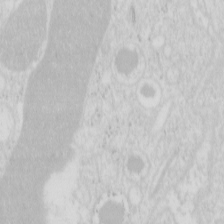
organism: Mouse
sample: Pancreas